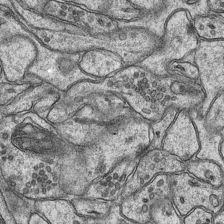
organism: Mouse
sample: CA1 Hippocampus